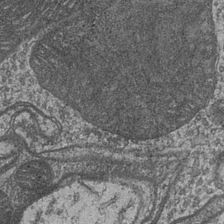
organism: Drosophila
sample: Optic medulla